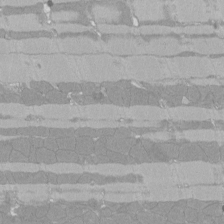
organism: Rat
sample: Left ventricle